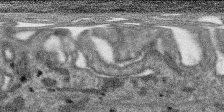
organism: Human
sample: Lung epithelial cells infected with SARS-CoV-2